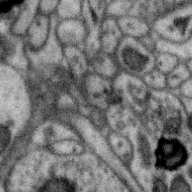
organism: Zebra finch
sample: Brain